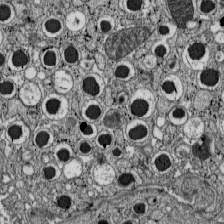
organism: C57BL Mouse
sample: Pancreatic islet